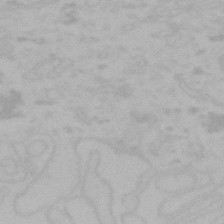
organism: Mouse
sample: Choroid plexus